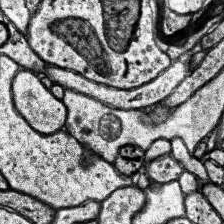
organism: Human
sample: Temporal Lobe